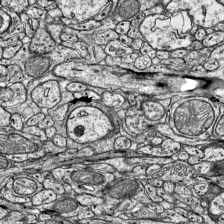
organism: Mouse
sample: Visual Cortex